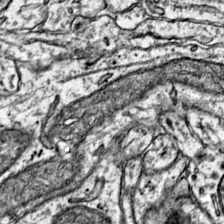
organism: Mouse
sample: Primary visual cortex